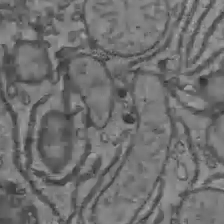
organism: C57BL Mouse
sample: Liver